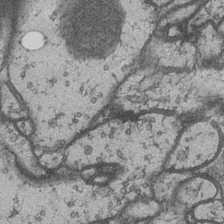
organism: Drosophila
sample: Optic medulla